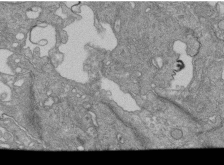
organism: Human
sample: Retinal organoid Rod and Cone cells